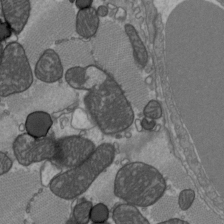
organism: C57BL Mouse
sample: Heart